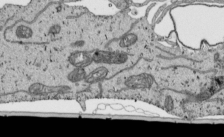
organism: Human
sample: Mitochondria in HCT116 cells